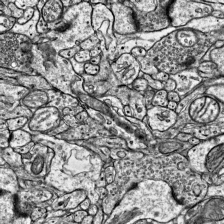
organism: Mouse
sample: Visual Cortex